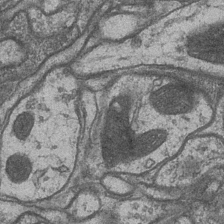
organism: Drosophila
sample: Optic medulla